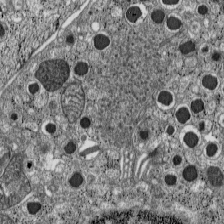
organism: C57BL Mouse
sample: Pancreatic islet